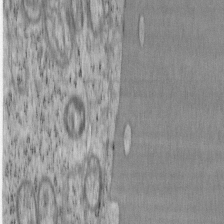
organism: Human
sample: HeLa cells